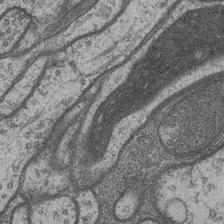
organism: Drosophila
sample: Optic medulla